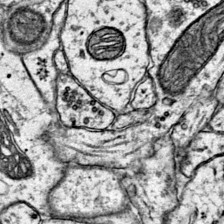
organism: Mouse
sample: Primary visual cortex